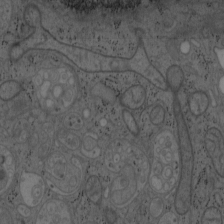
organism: Mouse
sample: OT-I killer T cells with ID8 ovarian cancer cells